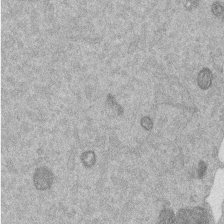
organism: Mouse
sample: Dividing mouse embryo 1 cell stage